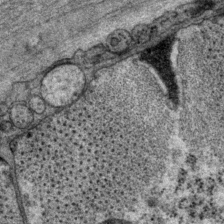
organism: P. pacificus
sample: Pharynx